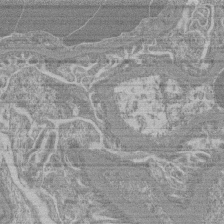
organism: Mouse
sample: Glomerulus